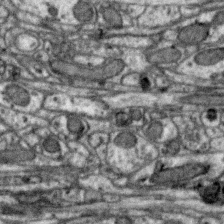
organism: Zebra finch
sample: Brain